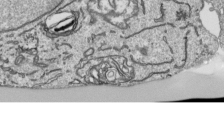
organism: Human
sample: Mitochondria in HCT116 cells